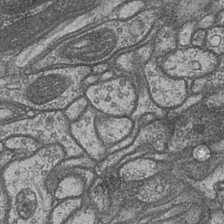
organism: Drosophila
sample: Optic medulla